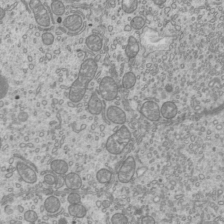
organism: Mouse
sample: Cilia; mouse epididymis